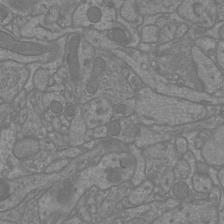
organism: Mouse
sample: Cortical neurons